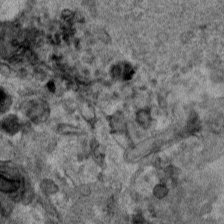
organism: Human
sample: Mitochondria in HCT116 cells